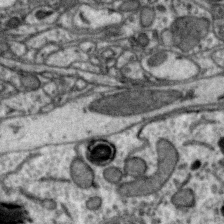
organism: Zebra finch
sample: Brain